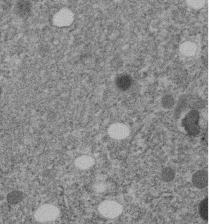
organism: C. elegans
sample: C. elegans embryo early stage